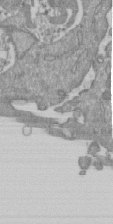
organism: Mouse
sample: ED-1 cell nuclei; centrioles